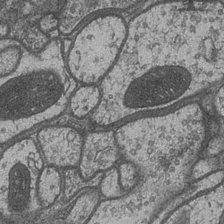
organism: Drosophila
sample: Optic medulla